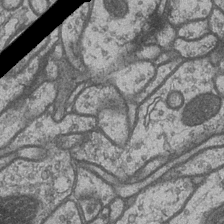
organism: Drosophila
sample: Optic medulla